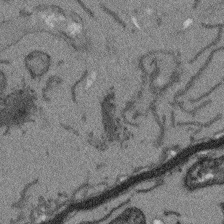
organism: Arabidopsis thaliana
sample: Root tip